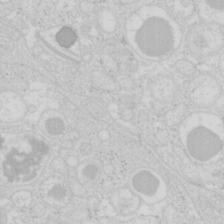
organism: Mouse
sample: Pancreas